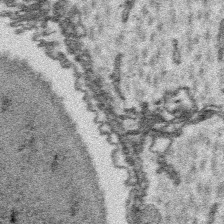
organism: Platynereis dumerilii